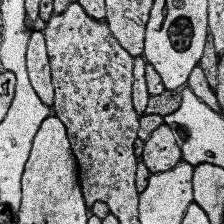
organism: Human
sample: Temporal Lobe